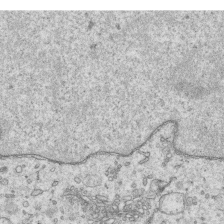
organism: Human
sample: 1205lu cells